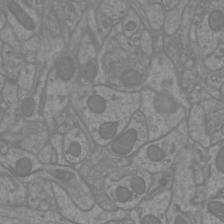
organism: Mouse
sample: Cortical neurons